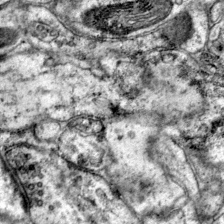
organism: Mouse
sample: Primary visual cortex